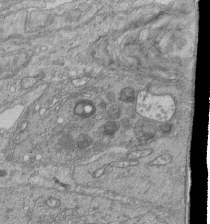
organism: Human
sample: Retinal organoid Rod and Cone cells